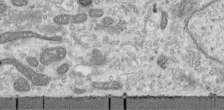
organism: Human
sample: Centriole in RPE cells